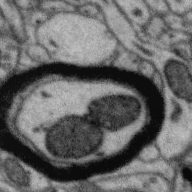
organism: Zebra finch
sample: Brain